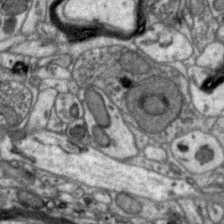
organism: Zebra finch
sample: Brain